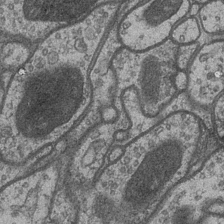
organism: Drosophila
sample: Optic medulla